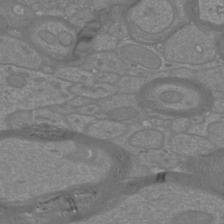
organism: Mouse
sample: Cortical neurons